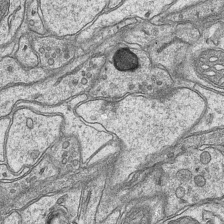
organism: Mouse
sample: CA1 Hippocampus